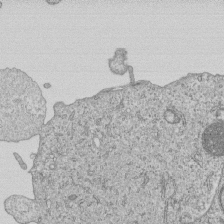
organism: Human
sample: MDA-MB-231 cells